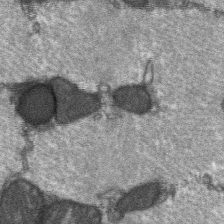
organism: C57BL Mouse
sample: Soleus